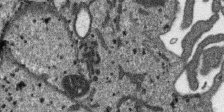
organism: Human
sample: Lung epithelial cells infected with SARS-CoV-2